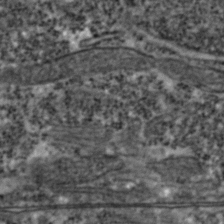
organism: Zebrafish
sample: Zebrafish embryo